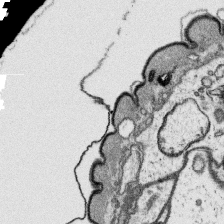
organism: Platynereis dumerilii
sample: Parapodia